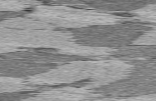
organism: C57BL Mouse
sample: Heart